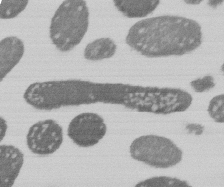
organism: E. coli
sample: Bacterial nucleoid